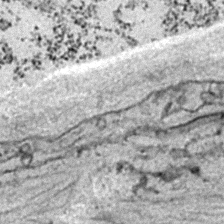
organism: C. elegans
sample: C. elegans embryo